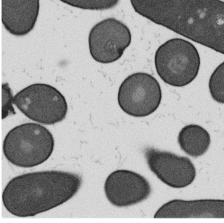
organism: B. subtilis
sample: Bacterial spore